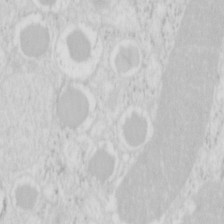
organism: Mouse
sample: Pancreas